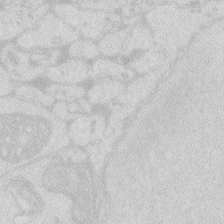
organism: Zebrafish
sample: Macrophage